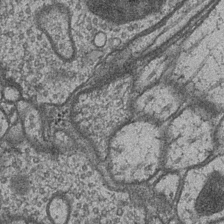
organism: Drosophila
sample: Optic medulla